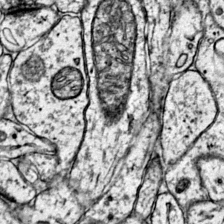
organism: Mouse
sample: Primary visual cortex